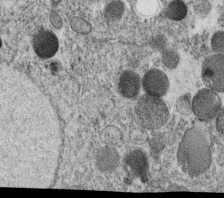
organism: C. elegans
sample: C. elegans oocyte; sperm cells